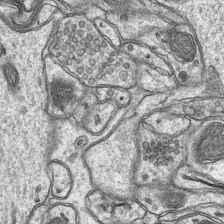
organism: Mouse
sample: CA1 Hippocampus